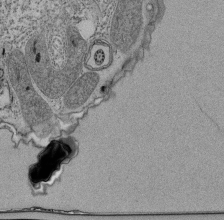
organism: Tetrahymena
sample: Cilia in tetrahymena